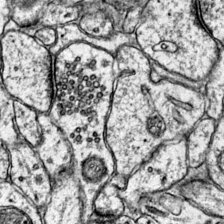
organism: Mouse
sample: Primary visual cortex